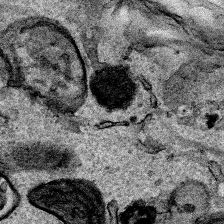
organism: Human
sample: Mitochondria in HCT116 cells